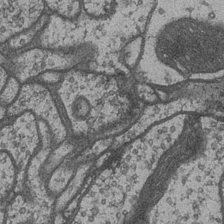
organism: Drosophila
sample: Optic medulla